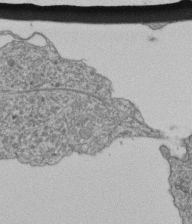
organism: Human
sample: Retinal organoid Rod and Cone cells